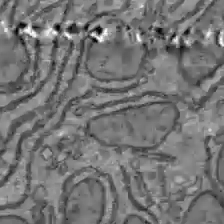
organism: C57BL Mouse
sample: Liver